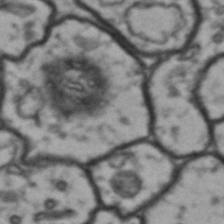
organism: Drosophila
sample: Brain